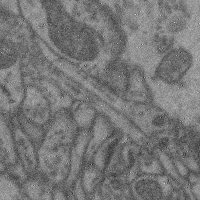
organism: Mouse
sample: Cerebral cortex